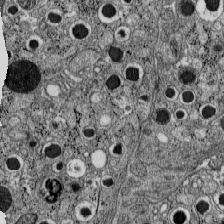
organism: C57BL Mouse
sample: Pancreatic islet